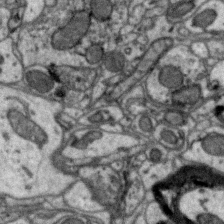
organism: Zebra finch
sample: Brain